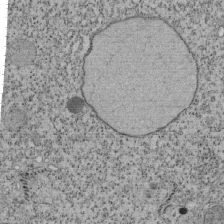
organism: Tetrahymena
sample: Cilia in tetrahymena